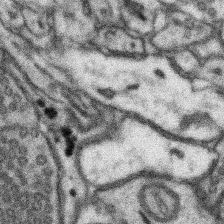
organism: Mouse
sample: Somatosensory cortex neuropil